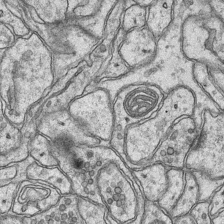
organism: Mouse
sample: CA1 Hippocampus